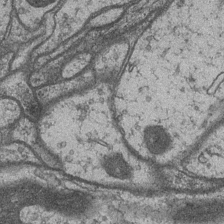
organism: Drosophila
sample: Optic medulla